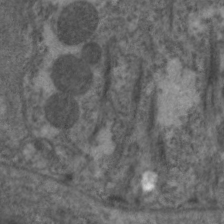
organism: C. elegans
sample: Pharynx